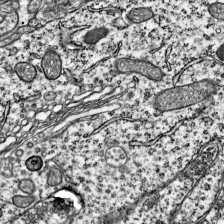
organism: Mouse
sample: Visual Cortex